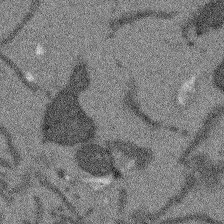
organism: Arabidopsis thaliana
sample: Root tip